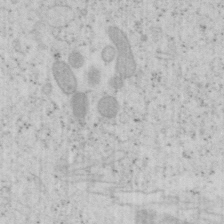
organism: Human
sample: HeLa cells